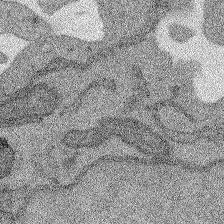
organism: Human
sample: HeLa cells